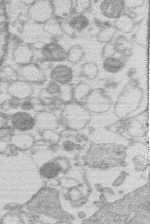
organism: Human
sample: Macrophage cells